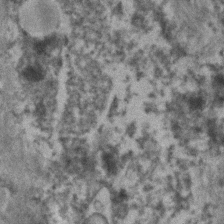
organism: Human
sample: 1205lu cells